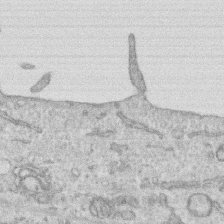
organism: Human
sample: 1205lu cells